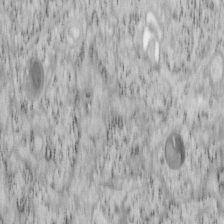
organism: Human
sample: HeLa cells